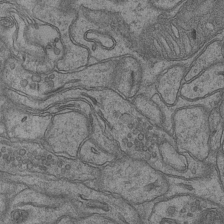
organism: Mouse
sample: CA1 Hippocampus